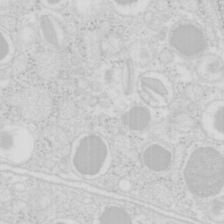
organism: Mouse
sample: Pancreas